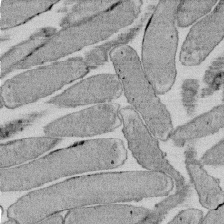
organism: E. coli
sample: Bacterial nucleoid